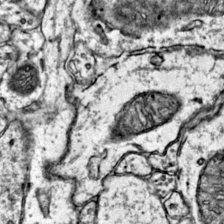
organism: Mouse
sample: Primary visual cortex